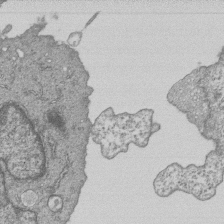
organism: Human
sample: MDA-MB-231 cells